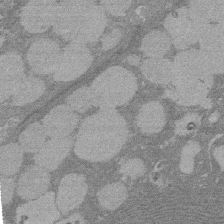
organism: Rat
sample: Salivary granule